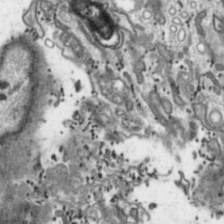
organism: Toxoplasma gondii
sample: Parasites in a vacuole inside a host cell